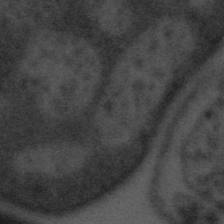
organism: Tuwongella immobilis